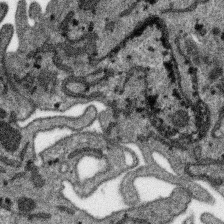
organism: Human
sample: Lung epithelial cells infected with SARS-CoV-2